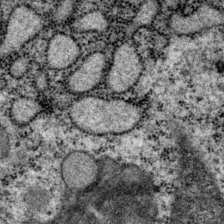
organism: P. pacificus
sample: Pharynx